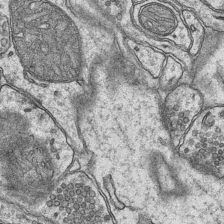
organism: Mouse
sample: CA1 Hippocampus